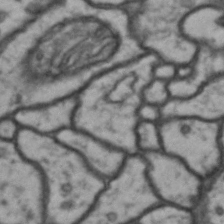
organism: Drosophila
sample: Brain